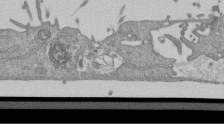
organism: Mouse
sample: ED-1 cell nuclei; centrioles